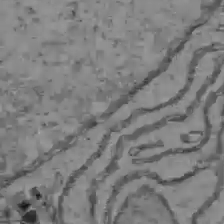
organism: C57BL Mouse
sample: Liver